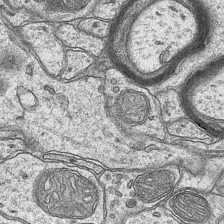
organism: Mouse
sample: CA1 Hippocampus